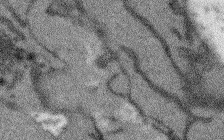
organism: Arabidopsis thaliana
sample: Root tip